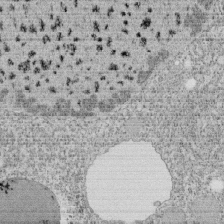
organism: Tetrahymena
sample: Cilia in tetrahymena